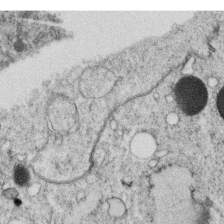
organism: C. elegans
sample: C. elegans oocyte; sperm cells